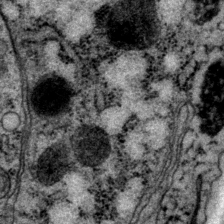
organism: P. pacificus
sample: Pharynx